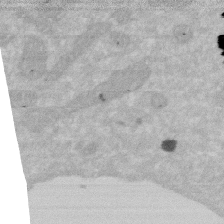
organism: Human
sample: HIV infected U937 cells